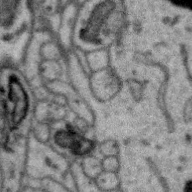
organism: Zebra finch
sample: Brain